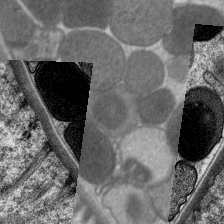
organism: C. elegans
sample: Pharynx